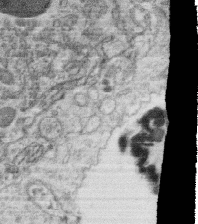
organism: C. elegans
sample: C. elegans oocyte; sperm cells